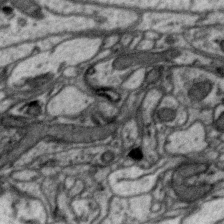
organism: Zebra finch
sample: Brain